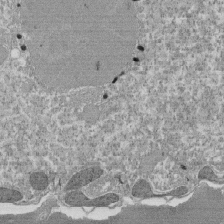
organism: Tetrahymena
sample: Cilia in tetrahymena